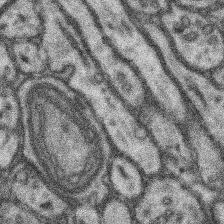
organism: Mouse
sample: Somatosensory cortex neuropil